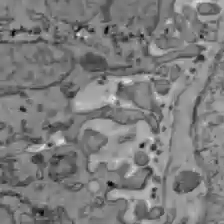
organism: C57BL Mouse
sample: Liver